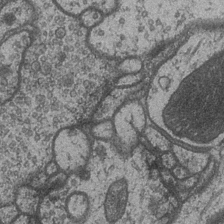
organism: Drosophila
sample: Optic medulla